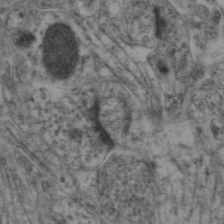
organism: Mouse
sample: Neocortex